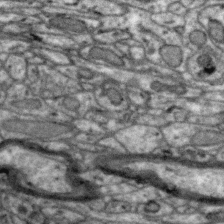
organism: Zebra finch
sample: Brain